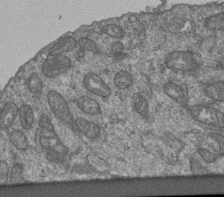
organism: Human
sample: Retinal organoid Rod and Cone cells